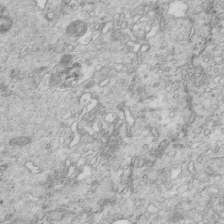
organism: Mouse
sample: Multiciliated cells